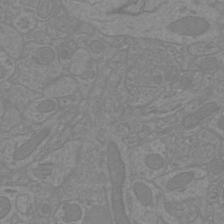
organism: Mouse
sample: Cortical neurons